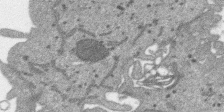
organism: Human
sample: Lung epithelial cells infected with SARS-CoV-2